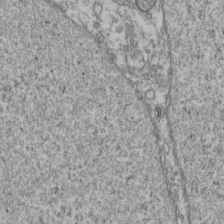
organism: Human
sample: Activated Jurkat CD4+ T cells